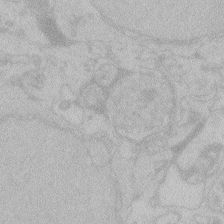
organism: Zebrafish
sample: Macrophage infected with Toxoplasma gondii